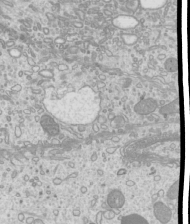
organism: Mouse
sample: Cilia; mouse epididymis